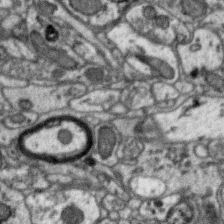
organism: Zebra finch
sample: Brain